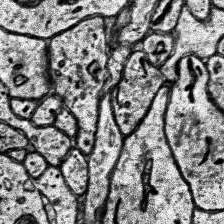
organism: Human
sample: Temporal Lobe